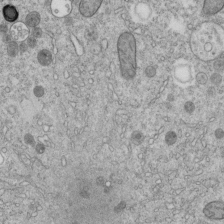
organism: C. elegans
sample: C. elegans embryo early stage